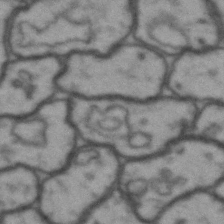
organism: Drosophila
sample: Brain